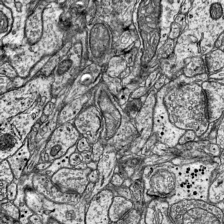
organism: Mouse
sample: Visual Cortex